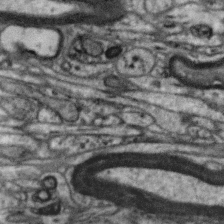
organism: Zebra finch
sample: Brain